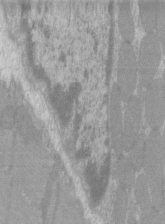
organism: C57BL Mouse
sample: Tibialis anterior muscle cell